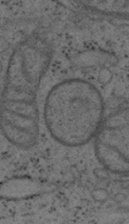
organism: Human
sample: HeLa cells